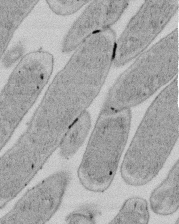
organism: E. coli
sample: Bacterial nucleoid